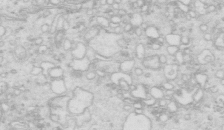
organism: Mouse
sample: Multiciliated cells